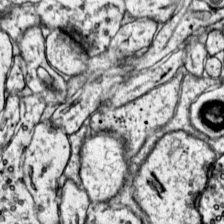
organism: Mouse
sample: Primary visual cortex